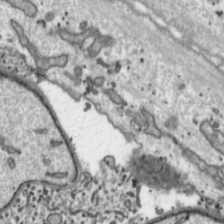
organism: Toxoplasma gondii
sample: Parasites in a vacuole inside a host cell